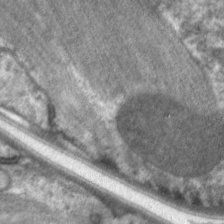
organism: C. elegans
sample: Pharynx